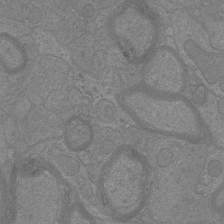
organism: Mouse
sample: Cortical neurons